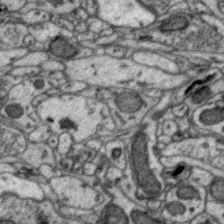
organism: Zebra finch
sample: Brain